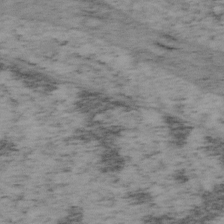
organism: Mouse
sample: OT-I killer T cells with ID8 ovarian cancer cells